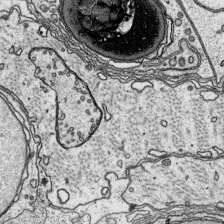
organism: Platynereis dumerilii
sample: Parapodia